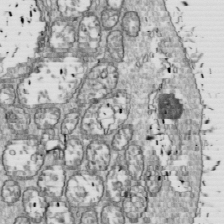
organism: Drosophila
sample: Cell division; meiosis; drosophila spermatocytes